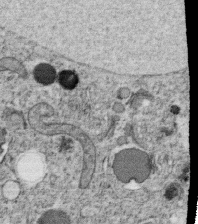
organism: C. elegans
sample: C. elegans oocyte; sperm cells